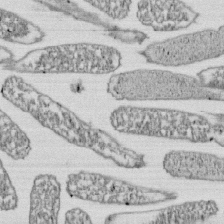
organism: E. coli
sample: Bacterial nucleoid